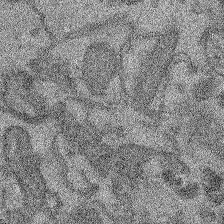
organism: Human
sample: HeLa cells